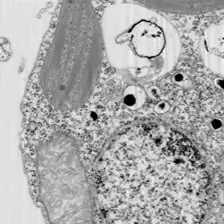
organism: Chlamydomonas reinhardtii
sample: Whole Cell